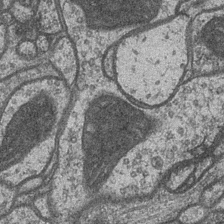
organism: Drosophila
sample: Optic medulla